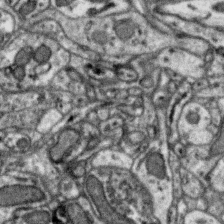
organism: Zebra finch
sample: Brain